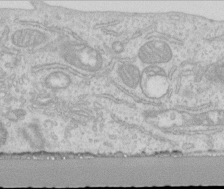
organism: Human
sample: Centriole in RPE cells